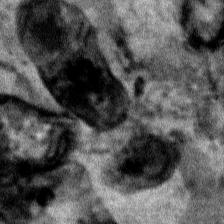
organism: Human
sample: Mitochondria in HCT116 cells